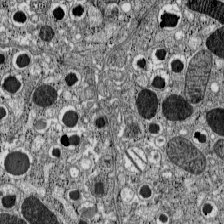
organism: C57BL Mouse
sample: Pancreatic islet